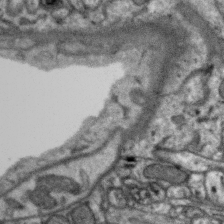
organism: Zebra finch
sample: Brain